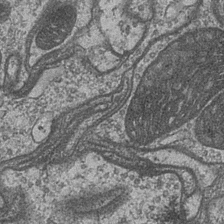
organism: Drosophila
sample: Optic medulla